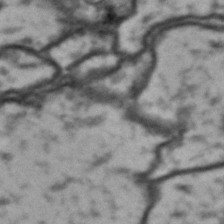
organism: Drosophila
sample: Brain